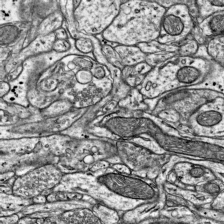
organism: Mouse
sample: Visual Cortex